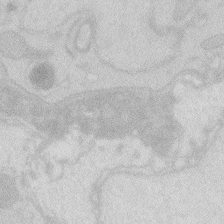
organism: Zebrafish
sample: Macrophage